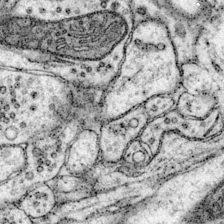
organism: Mouse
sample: Primary visual cortex